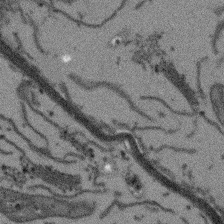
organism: Arabidopsis thaliana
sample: Root tip